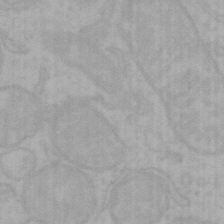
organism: Mouse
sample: Choroid plexus